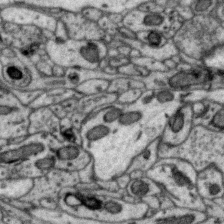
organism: Zebra finch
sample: Brain